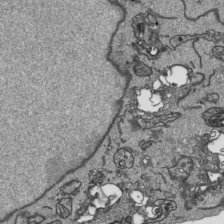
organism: Human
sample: Mitochondria in HCT116 cells